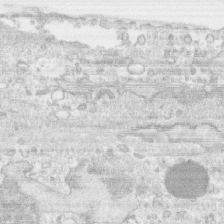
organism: Human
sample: CRL-1474